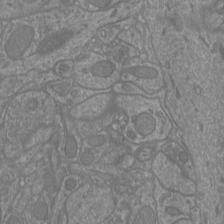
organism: Mouse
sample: Cortical neurons